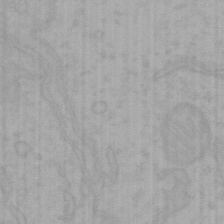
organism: Mouse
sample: Choroid plexus